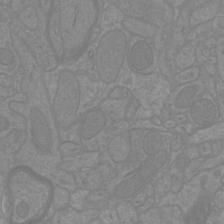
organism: Mouse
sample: Cortical neurons